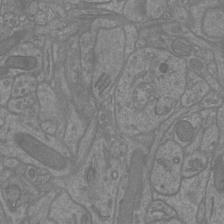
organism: Mouse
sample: Cortical neurons